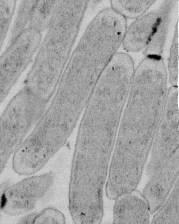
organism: E. coli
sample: Bacterial nucleoid